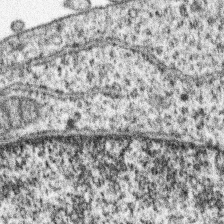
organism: Human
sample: HeLa cells